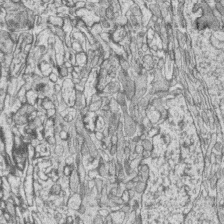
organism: Zebrafish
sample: synaptic ribbons in rod cells and cone cells